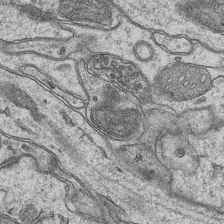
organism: Mouse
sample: CA1 Hippocampus